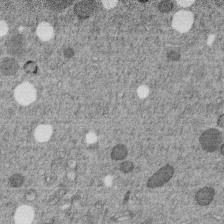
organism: C. elegans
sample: C. elegans embryo early stage